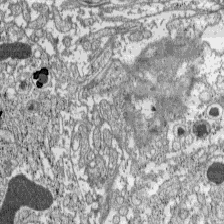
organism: C57BL Mouse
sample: Pancreatic islet